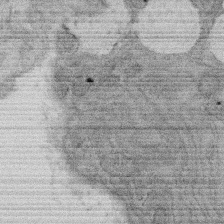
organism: Rat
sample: Salivary granule